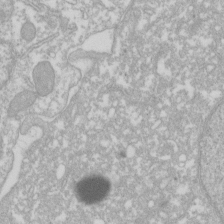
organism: Xenopus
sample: Cilia; centrioles in frog embryo cells